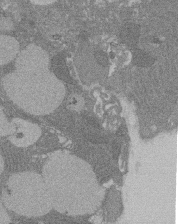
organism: Rat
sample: Salivary granule